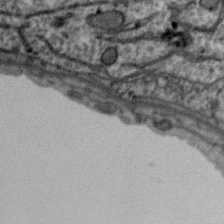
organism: Zebra finch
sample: Brain